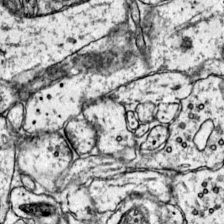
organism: Mouse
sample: Primary visual cortex